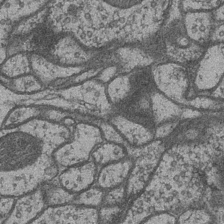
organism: Drosophila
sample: Optic medulla